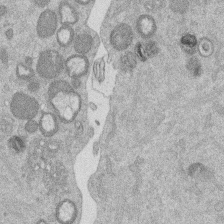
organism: Mouse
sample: Dividing mouse embryo 1 cell stage